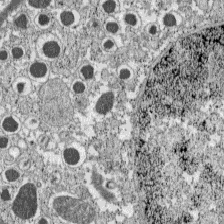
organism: C57BL Mouse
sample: Pancreatic islet